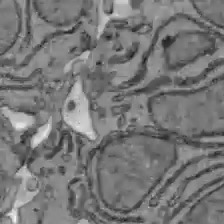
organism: C57BL Mouse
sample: Liver